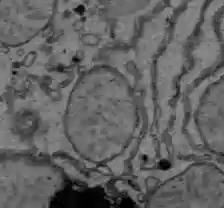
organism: C57BL Mouse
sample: Liver